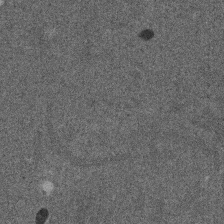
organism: Mouse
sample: Dividing mouse embryo 1 cell stage